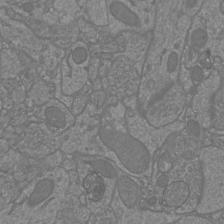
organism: Mouse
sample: Cortical neurons